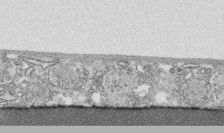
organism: Human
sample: CRL-1474